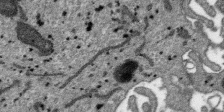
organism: Human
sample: Lung epithelial cells, uninfected (mock) control